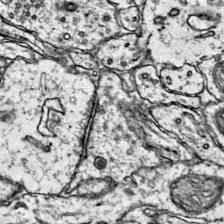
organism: Mouse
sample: Primary visual cortex